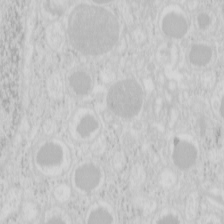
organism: Mouse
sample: Pancreas